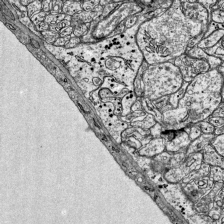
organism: Mouse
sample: Visual Cortex